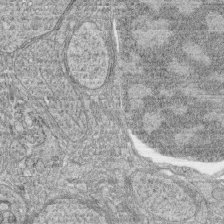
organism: Zebrafish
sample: synaptic ribbons in rod cells and cone cells